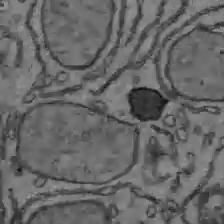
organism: C57BL Mouse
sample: Liver